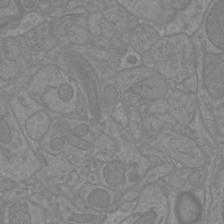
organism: Mouse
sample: Cortical neurons